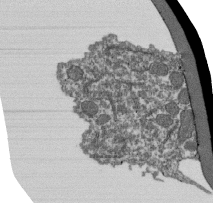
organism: Dictyostelium discoideum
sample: Dictyostelium multivesicular bodies